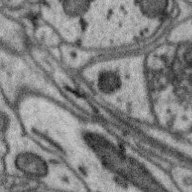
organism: Zebra finch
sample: Brain